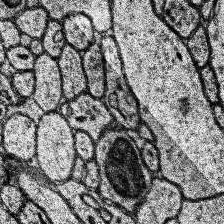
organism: Human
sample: Temporal Lobe